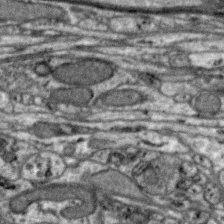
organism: Zebra finch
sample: Brain